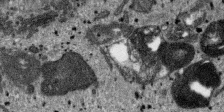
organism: Human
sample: Lung epithelial cells, uninfected (mock) control